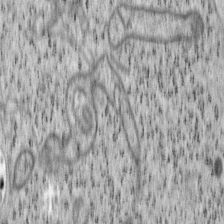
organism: Human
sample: HeLa cells